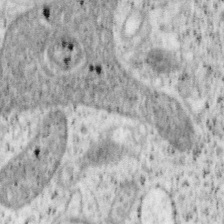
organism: Mouse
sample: OT-I killer T cells with ID8 ovarian cancer cells